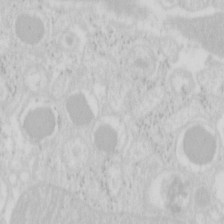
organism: Mouse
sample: Pancreas